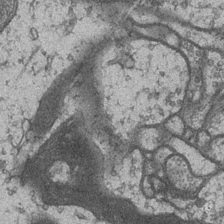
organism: Drosophila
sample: Optic medulla